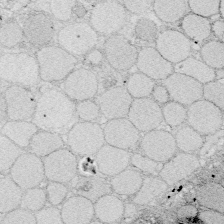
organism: Zebrafish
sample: Whole-Brain